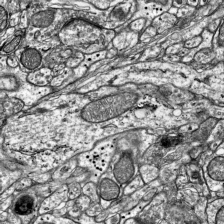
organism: Mouse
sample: Visual Cortex